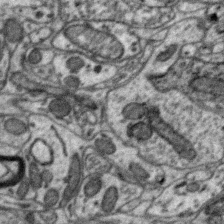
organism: Zebra finch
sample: Brain